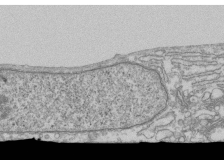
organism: Human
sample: Fibroblast cells